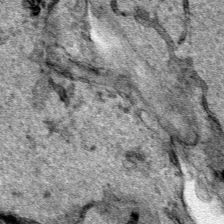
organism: Human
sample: Mitochondria in HCT116 cells